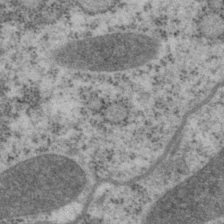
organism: P. pacificus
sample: Pharynx